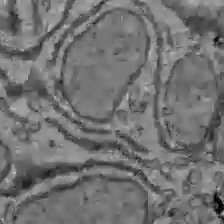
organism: C57BL Mouse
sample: Liver